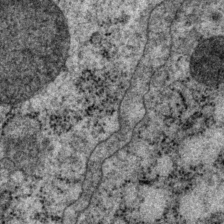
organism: P. pacificus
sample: Pharynx